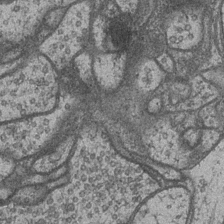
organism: Drosophila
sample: Optic medulla